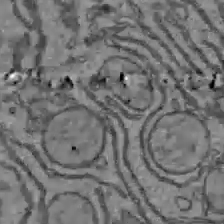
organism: C57BL Mouse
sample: Liver